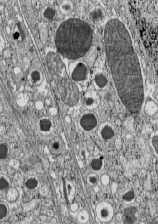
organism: C57BL Mouse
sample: Pancreatic islet